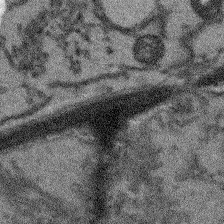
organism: Arabidopsis thaliana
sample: Root tip